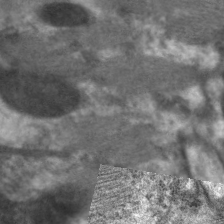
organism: C. elegans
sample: Pharynx